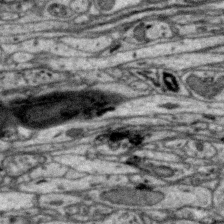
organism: Zebra finch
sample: Brain